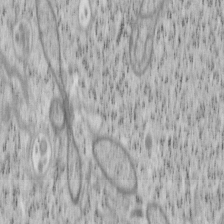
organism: Human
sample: HeLa cells